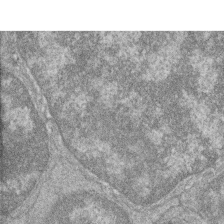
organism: Zebrafish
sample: Cilia; retinal pigment epithelium